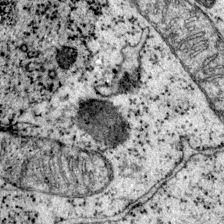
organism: Mouse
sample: Primary visual cortex